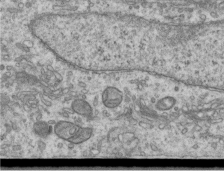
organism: Human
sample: Centriole in RPE cells